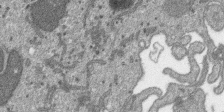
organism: Human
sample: Lung epithelial cells infected with SARS-CoV-2